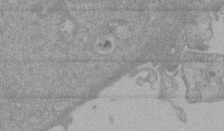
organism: Mouse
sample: ED-1 cell nuclei; centrioles